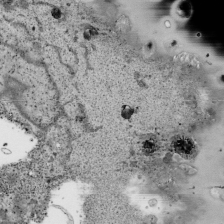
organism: Human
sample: Mitochondria in HCT116 cells